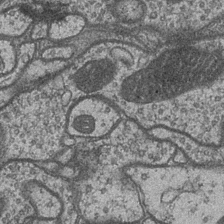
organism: Drosophila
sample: Optic medulla